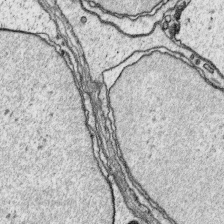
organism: Platynereis dumerilii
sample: Parapodia